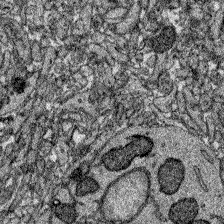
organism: Zebrafish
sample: Larval olfactory bulb